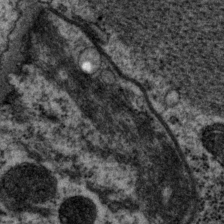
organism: P. pacificus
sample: Pharynx